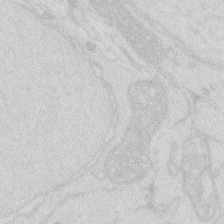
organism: Zebrafish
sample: Macrophage